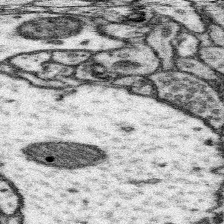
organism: Mouse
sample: Somatosensory cortex neuropil